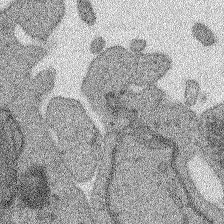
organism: Human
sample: HeLa cells